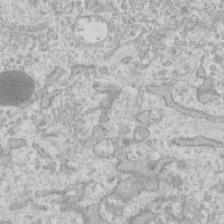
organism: Human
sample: Fibroblast cells